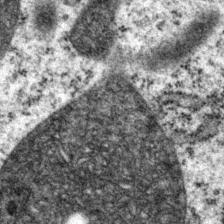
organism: P. pacificus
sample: Pharynx